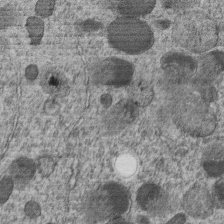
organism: C. elegans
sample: C. elegans embryo early stage